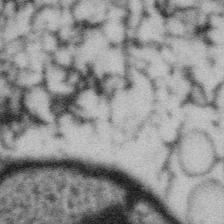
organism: Gemmata obscuriglobus